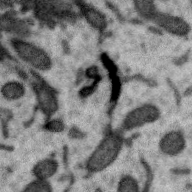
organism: Zebra finch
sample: Brain